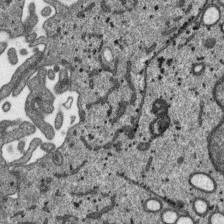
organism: Human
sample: Lung epithelial cells infected with SARS-CoV-2